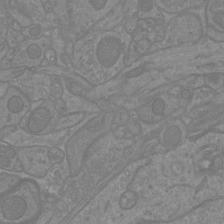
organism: Mouse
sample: Cortical neurons